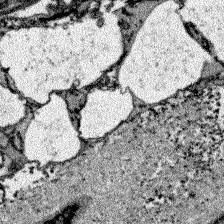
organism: Zebrafish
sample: Larval olfactory bulb